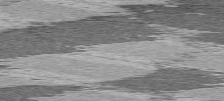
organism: C57BL Mouse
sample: Heart